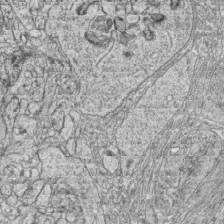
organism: Zebrafish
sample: synaptic ribbons in rod cells and cone cells